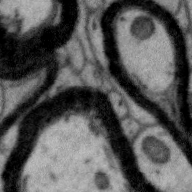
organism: Zebra finch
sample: Brain